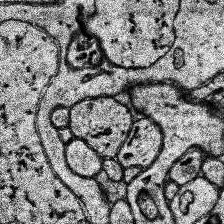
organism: Human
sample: Temporal Lobe